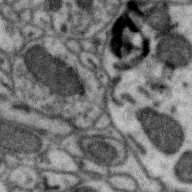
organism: Zebra finch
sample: Brain